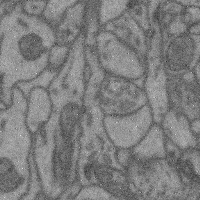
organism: Mouse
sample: Cerebral cortex